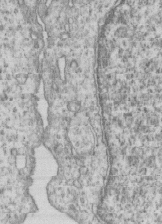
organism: Human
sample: MDA-MB-231 cells